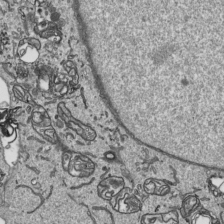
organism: Human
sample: Mitochondria in HCT116 cells